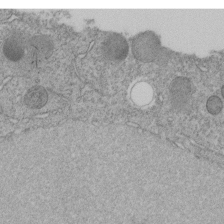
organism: C. elegans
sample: C. elegans embryo early stage